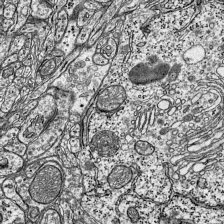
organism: Mouse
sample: Visual Cortex